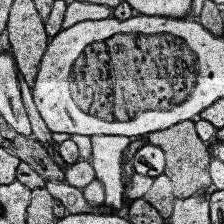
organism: Human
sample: Temporal Lobe